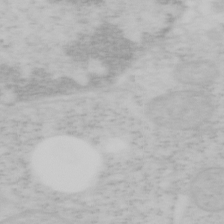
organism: Mouse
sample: OT-I killer T cells with ID8 ovarian cancer cells